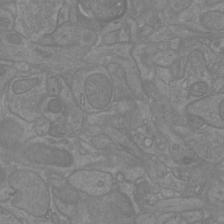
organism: Mouse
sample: Cortical neurons